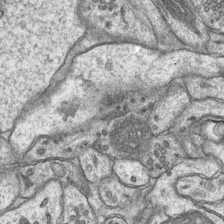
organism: Mouse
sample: CA1 Hippocampus